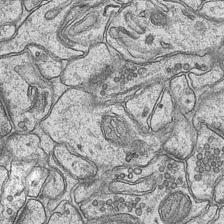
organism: Mouse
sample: CA1 Hippocampus